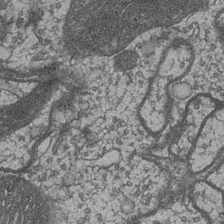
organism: Drosophila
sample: Optic medulla